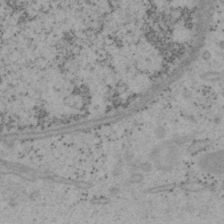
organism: Human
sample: HeLa cells